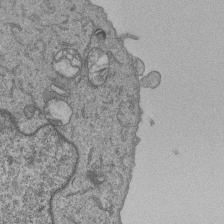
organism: Human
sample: MDA-MB-231 cells